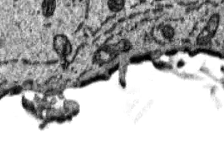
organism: Human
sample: HeLa cells